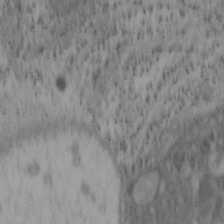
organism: Mouse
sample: OT-I killer T cells with ID8 ovarian cancer cells